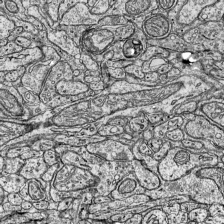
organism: Mouse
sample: Visual Cortex